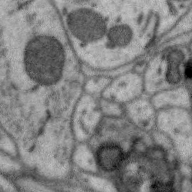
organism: Zebra finch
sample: Brain